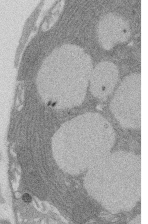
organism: Rat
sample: Salivary granule